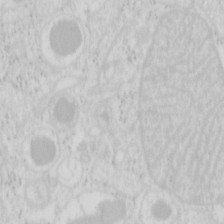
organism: Mouse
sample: Pancreas